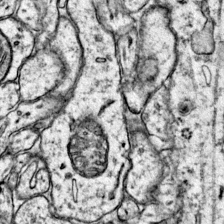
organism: Mouse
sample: Primary visual cortex